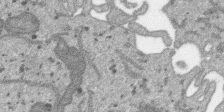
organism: Human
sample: Lung epithelial cells infected with SARS-CoV-2